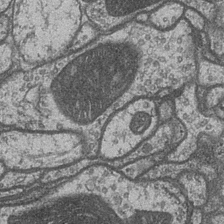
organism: Drosophila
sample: Optic medulla